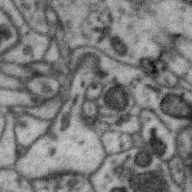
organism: Zebra finch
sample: Brain